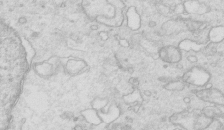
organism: Mouse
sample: Multiciliated cells